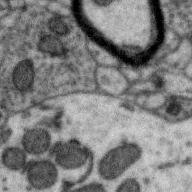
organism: Zebra finch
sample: Brain